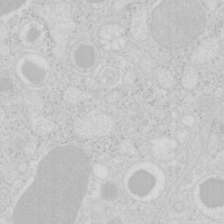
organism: Mouse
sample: Pancreas